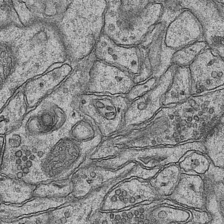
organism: Mouse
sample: CA1 Hippocampus